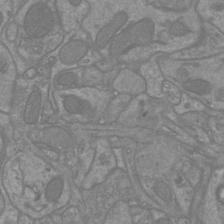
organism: Mouse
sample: Cortical neurons